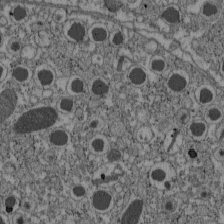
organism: C57BL Mouse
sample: Pancreatic islet